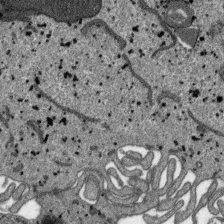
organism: Human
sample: Lung epithelial cells, uninfected (mock) control